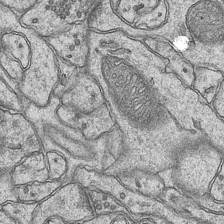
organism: Mouse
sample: CA1 Hippocampus